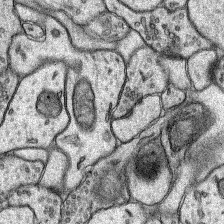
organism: Rat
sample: Hippocampus